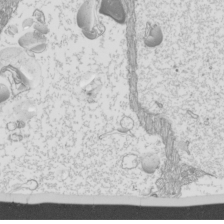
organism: Mouse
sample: Cilia; mouse epididymis